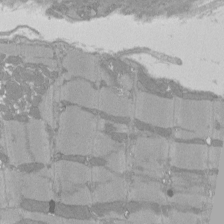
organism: Rat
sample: Left ventricle